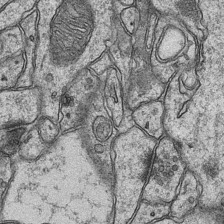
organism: Mouse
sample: CA1 Hippocampus